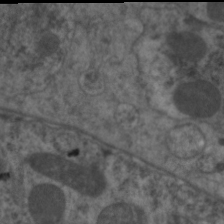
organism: C. elegans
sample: Pharynx